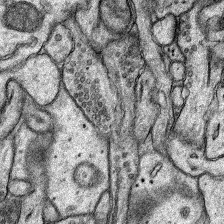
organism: Rat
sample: Hippocampus